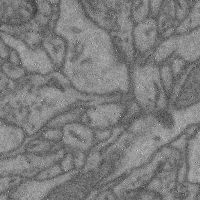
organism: Mouse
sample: Cerebral cortex